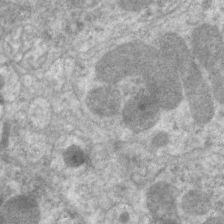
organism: C. elegans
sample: Pharynx